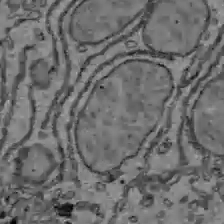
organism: C57BL Mouse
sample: Liver